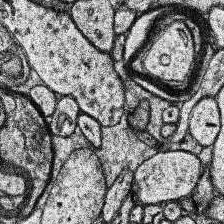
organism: Human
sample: Temporal Lobe